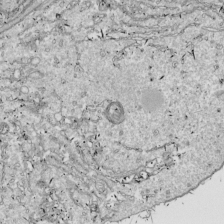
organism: Drosophila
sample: Cell division; meiosis; drosophila spermatocytes